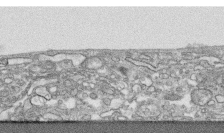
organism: Human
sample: CRL-1474